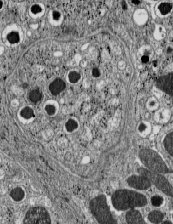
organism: C57BL Mouse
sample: Pancreatic islet